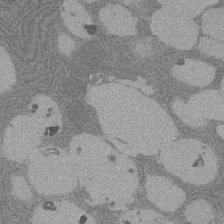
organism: Rat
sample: Salivary granule